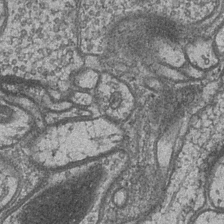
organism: Drosophila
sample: Optic medulla